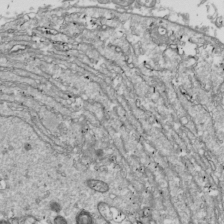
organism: Drosophila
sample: Cell division; meiosis; drosophila spermatocytes